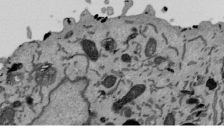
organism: Mouse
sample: ED-1 cell nuclei; centrioles